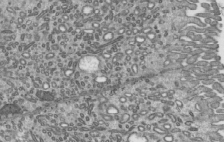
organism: Mouse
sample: Mouse epididymis efferent ductule cilia